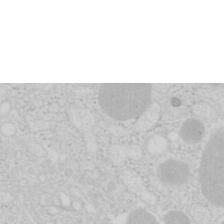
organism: Mouse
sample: Pancreas